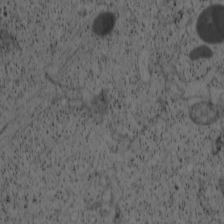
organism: African green monkey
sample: COS-7 cells